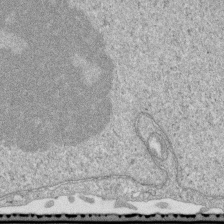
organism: Human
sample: HeLa cell HIV synapse